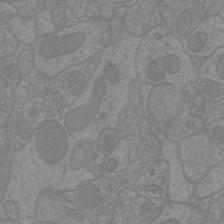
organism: Mouse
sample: Cortical neurons